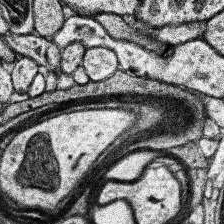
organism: Human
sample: Temporal Lobe